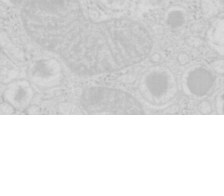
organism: Mouse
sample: Pancreas